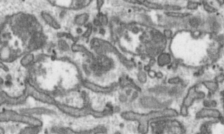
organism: Toxoplasma gondii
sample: Parasites in a vacuole inside a host cell